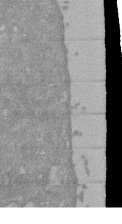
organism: Mouse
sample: ED-1 cell nuclei; centrioles